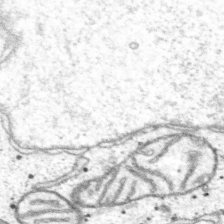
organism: Human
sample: HeLa cells